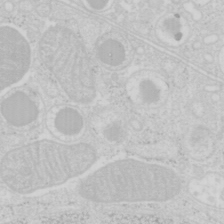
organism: Mouse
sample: Pancreas